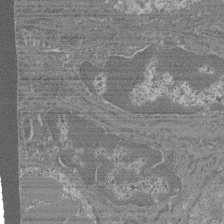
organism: Mouse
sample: Glomerulus